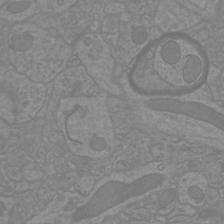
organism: Mouse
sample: Cortical neurons